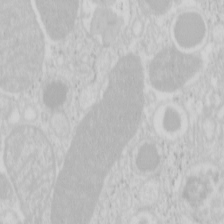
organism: Mouse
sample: Pancreas